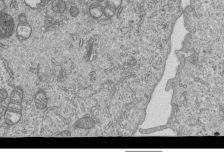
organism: Human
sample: MDA-MB-231 cells